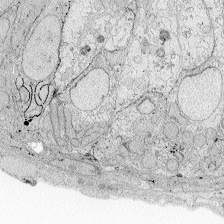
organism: Zebrafish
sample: Whole-Brain